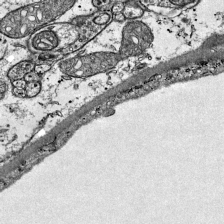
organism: Mouse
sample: Visual Cortex